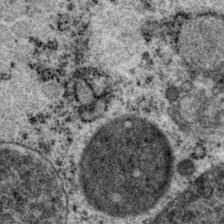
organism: P. pacificus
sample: Pharynx